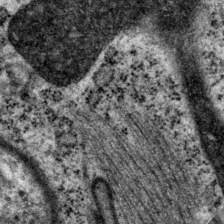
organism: P. pacificus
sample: Pharynx